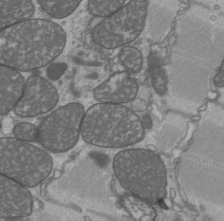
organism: C57BL Mouse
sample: Heart